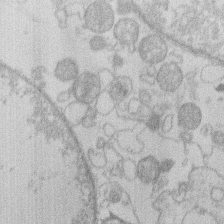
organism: Human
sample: Macrophage cells